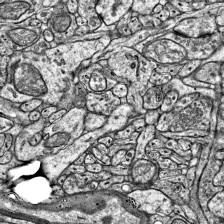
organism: Mouse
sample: Visual Cortex